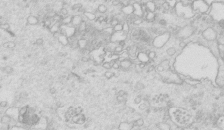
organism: Mouse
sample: Multiciliated cells